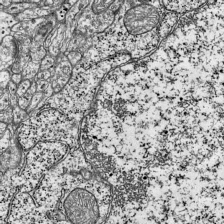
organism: Mouse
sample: Visual Cortex